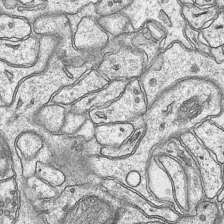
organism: Mouse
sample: CA1 Hippocampus